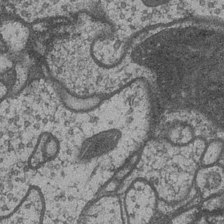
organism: Drosophila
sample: Optic medulla